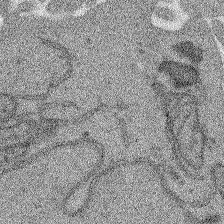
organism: Human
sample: HeLa cells